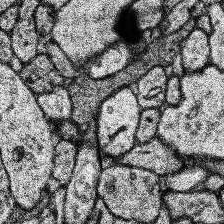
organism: Human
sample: Temporal Lobe